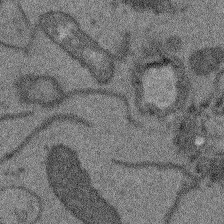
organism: Arabidopsis thaliana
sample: Root tip